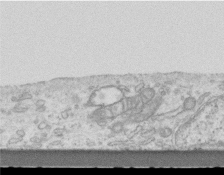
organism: Mouse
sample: Centriole in ependymal cells